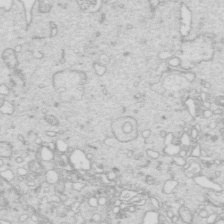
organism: Mouse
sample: Multiciliated cells